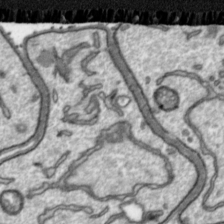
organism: Toxoplasma gondii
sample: Parasites in a vacuole inside a host cell